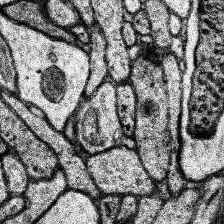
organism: Human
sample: Temporal Lobe